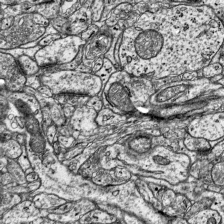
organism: Mouse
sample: Visual Cortex